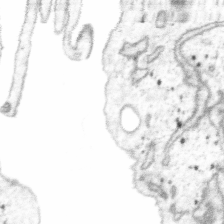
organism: Human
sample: HeLa cells